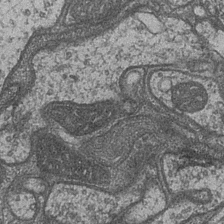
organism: Drosophila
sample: Optic medulla